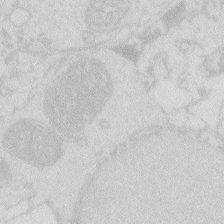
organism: Zebrafish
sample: Macrophage